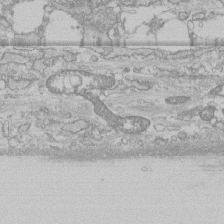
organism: Human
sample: CRL-1474